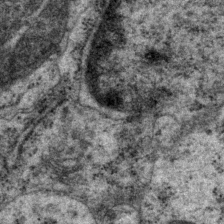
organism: P. pacificus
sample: Pharynx